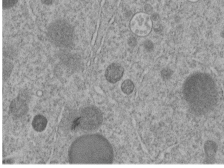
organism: C. elegans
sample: C. elegans embryo early stage